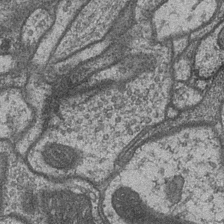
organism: Drosophila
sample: Optic medulla